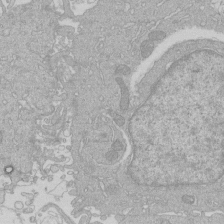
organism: Human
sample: Macrophage cells